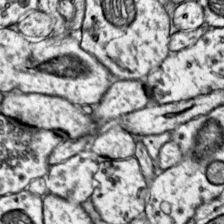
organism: Mouse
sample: Primary visual cortex